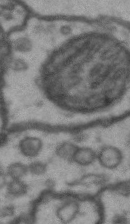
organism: Drosophila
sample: Brain